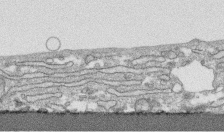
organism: Human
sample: CRL-1474